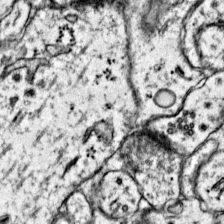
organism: Mouse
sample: Primary visual cortex